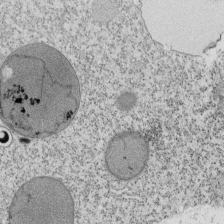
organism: Tetrahymena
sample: Cilia in tetrahymena